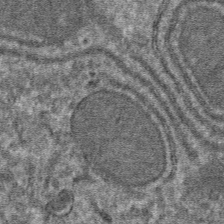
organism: Mouse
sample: Mouse hepatocytes